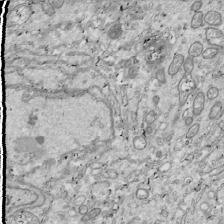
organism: Drosophila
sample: Cell division; meiosis; drosophila spermatocytes